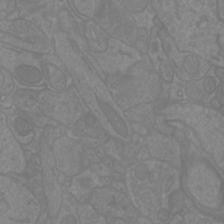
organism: Mouse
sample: Cortical neurons